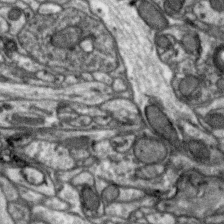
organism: Zebra finch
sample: Brain